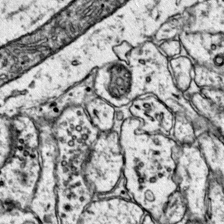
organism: Mouse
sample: Primary visual cortex